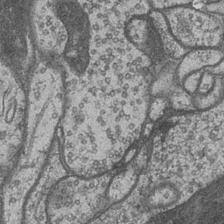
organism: Drosophila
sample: Optic medulla